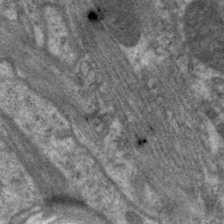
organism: C. elegans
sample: Pharynx